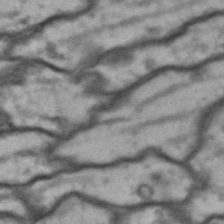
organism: Drosophila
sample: Brain